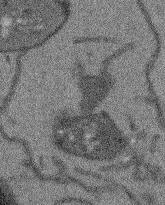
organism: Arabidopsis thaliana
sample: Root tip